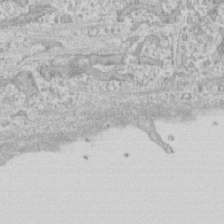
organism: Human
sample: CRL-1474